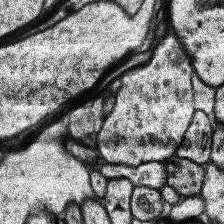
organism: Human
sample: Temporal Lobe